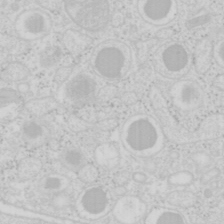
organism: Mouse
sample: Pancreas